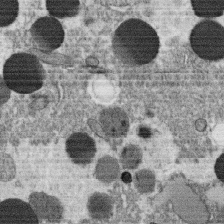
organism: C. elegans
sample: C. elegans oocyte; sperm cells